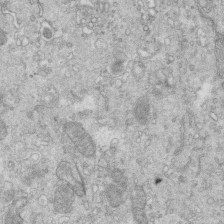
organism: Mouse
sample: Multiciliated cells